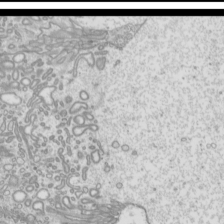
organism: Mouse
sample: Cilia; mouse epididymis